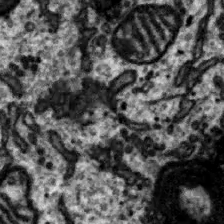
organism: Human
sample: HeLa cells